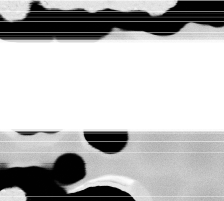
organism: C. elegans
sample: AFD neurons C. elegans